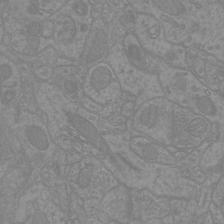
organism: Mouse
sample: Cortical neurons